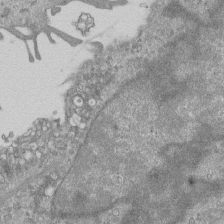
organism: Mouse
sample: ED-1 cell nuclei; centrioles